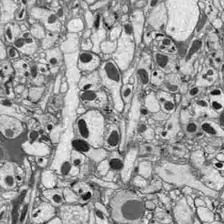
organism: Drosophila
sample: Optic lobe